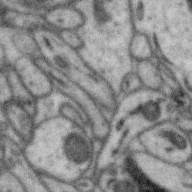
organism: Zebra finch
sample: Brain